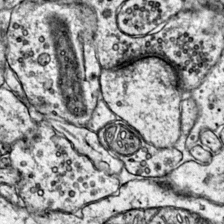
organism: Mouse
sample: Primary visual cortex